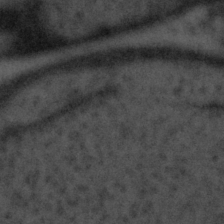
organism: Tuwongella immobilis